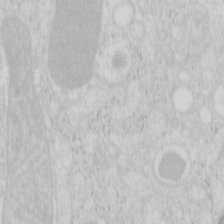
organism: Mouse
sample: Pancreas